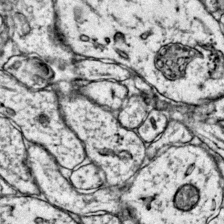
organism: Mouse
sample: Primary visual cortex